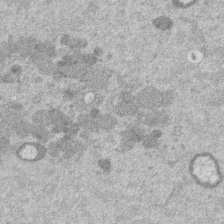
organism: Mouse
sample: Dividing mouse embryo 1 cell stage